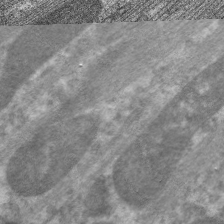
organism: C. elegans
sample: Pharynx